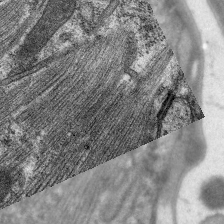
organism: C. elegans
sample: Pharynx